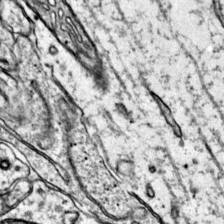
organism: Mouse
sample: Primary visual cortex